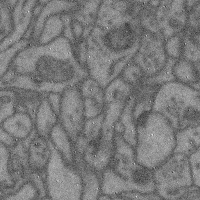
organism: Mouse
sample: Cerebral cortex